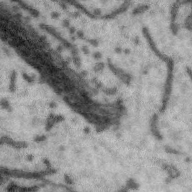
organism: Zebra finch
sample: Brain